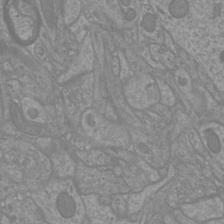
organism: Mouse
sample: Cortical neurons